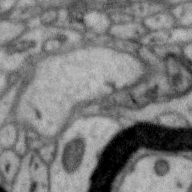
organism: Zebra finch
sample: Brain